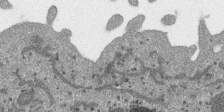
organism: Human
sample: Lung epithelial cells infected with SARS-CoV-2